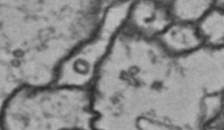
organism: Drosophila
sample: Brain